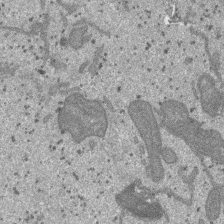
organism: Human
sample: Lung epithelial cells infected with SARS-CoV-2